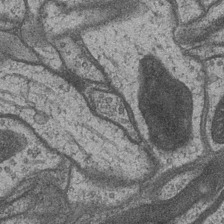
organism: Drosophila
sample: Optic medulla